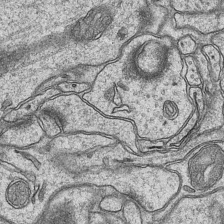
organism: Mouse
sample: CA1 Hippocampus